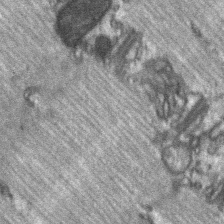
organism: C57BL Mouse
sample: Soleus